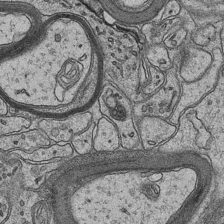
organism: Mouse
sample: CA1 Hippocampus